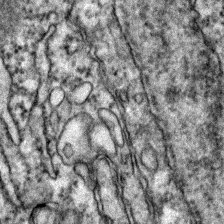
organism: Zebrafish